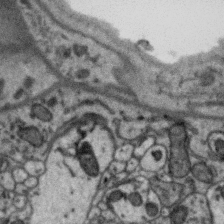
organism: Zebra finch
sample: Brain